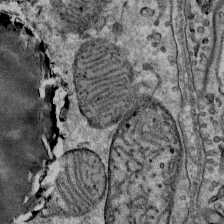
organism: Mouse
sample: Mouse Salivary gland